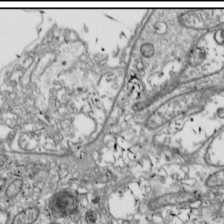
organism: Drosophila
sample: Cell division; meiosis; drosophila spermatocytes